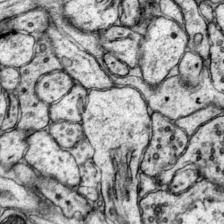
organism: Mouse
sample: Primary visual cortex